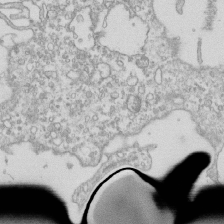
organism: Mouse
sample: Macrophages